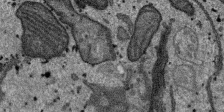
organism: Human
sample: Lung epithelial cells, uninfected (mock) control